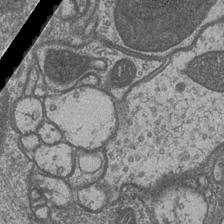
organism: Drosophila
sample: Optic medulla